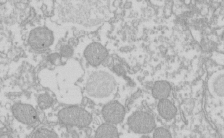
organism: Xenopus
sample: Cilia; centrioles in frog embryo cells